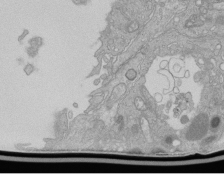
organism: Human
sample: Retinal organoid Rod and Cone cells